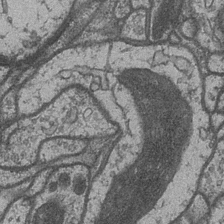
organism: Drosophila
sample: Optic medulla